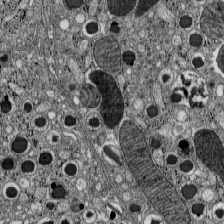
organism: C57BL Mouse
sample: Pancreatic islet